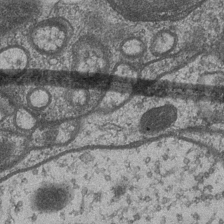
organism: Drosophila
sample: Optic medulla